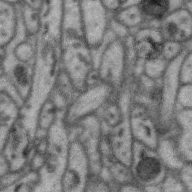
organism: Zebra finch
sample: Brain